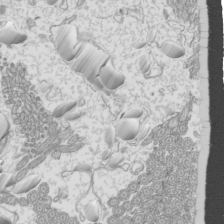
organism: Mouse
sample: Cilia; mouse epididymis